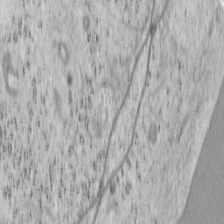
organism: Human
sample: HeLa cells